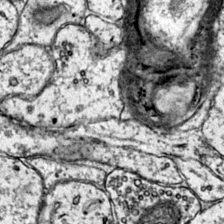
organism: Mouse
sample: Primary visual cortex